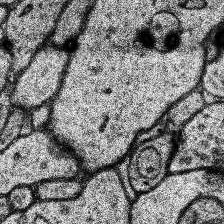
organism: Human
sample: Temporal Lobe